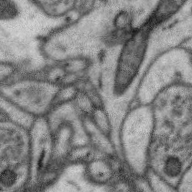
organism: Zebra finch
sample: Brain